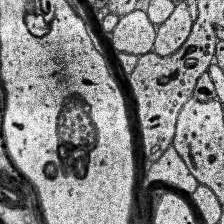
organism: Human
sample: Temporal Lobe